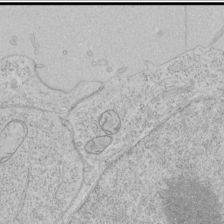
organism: Human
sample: Mitochondria in HCT116 cells